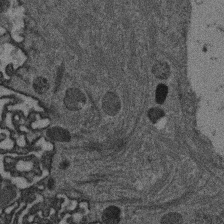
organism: Mouse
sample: Dividing mouse embryo 1 cell stage